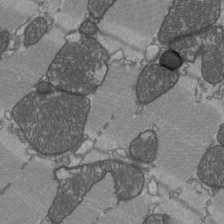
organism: C57BL Mouse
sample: Heart